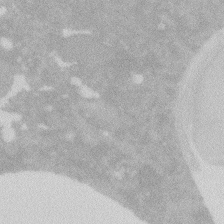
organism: Zebrafish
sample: Macrophage